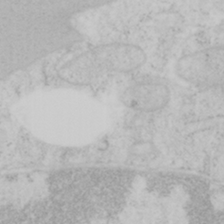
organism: Mouse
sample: OT-I killer T cells with ID8 ovarian cancer cells